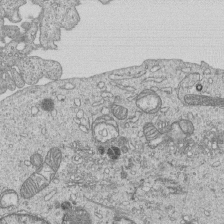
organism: Human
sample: MDA-MB-231 cells